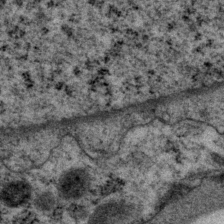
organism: P. pacificus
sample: Pharynx